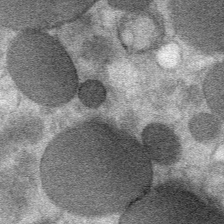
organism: Mouse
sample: Mouse Salivary gland